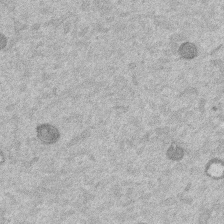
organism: Mouse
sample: Dividing mouse embryo 1 cell stage